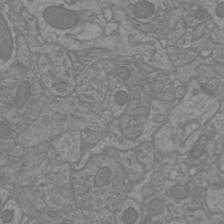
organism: Mouse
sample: Cortical neurons